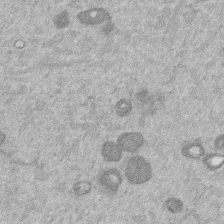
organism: Mouse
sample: Dividing mouse embryo 1 cell stage